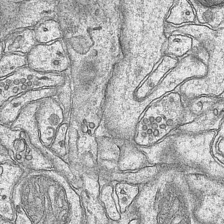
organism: Mouse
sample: CA1 Hippocampus